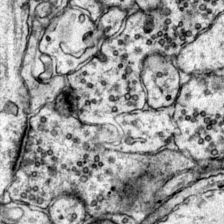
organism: Mouse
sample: Primary visual cortex